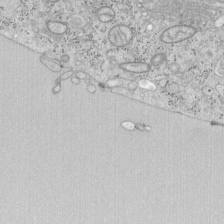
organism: Mouse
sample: OT-I killer T cells with ID8 ovarian cancer cells